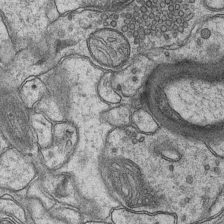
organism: Mouse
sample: CA1 Hippocampus